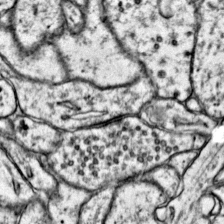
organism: Mouse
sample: Primary visual cortex